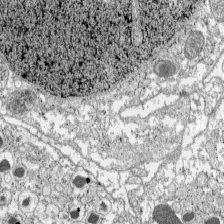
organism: C57BL Mouse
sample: Pancreatic islet